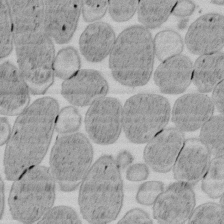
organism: E. coli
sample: Bacterial nucleoid